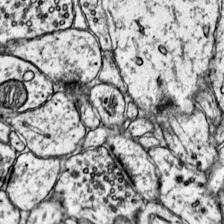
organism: Mouse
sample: Primary visual cortex